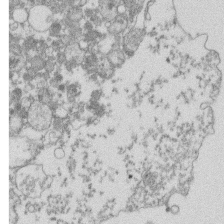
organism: Human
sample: HeLa cell HIV synapse